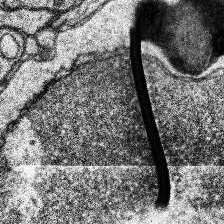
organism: Human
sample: Temporal Lobe